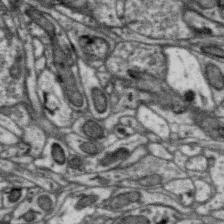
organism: Zebra finch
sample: Brain